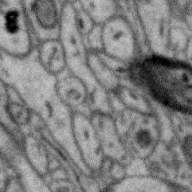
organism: Zebra finch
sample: Brain